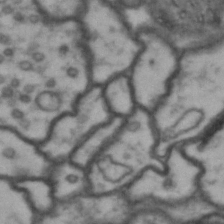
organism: Drosophila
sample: Brain